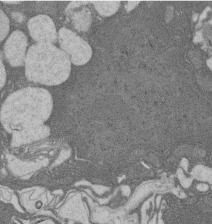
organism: Rat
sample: Salivary granule